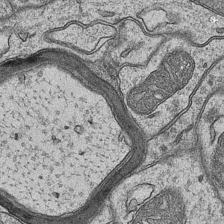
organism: Mouse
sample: CA1 Hippocampus